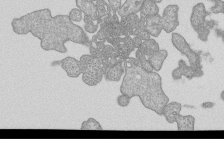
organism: Human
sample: MDA-MB-231 cells